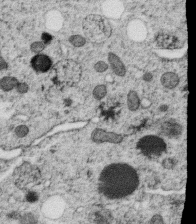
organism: C. elegans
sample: C. elegans oocyte; sperm cells